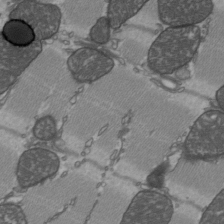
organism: C57BL Mouse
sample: Heart